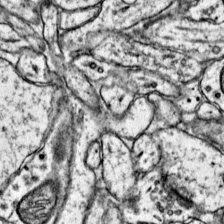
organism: Mouse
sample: Primary visual cortex